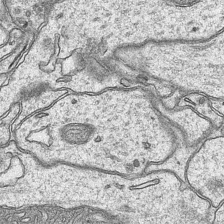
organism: Mouse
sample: CA1 Hippocampus